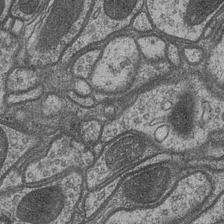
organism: Drosophila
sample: Optic medulla